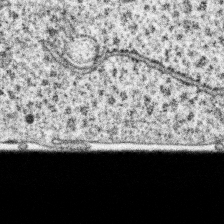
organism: Human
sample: HeLa cells